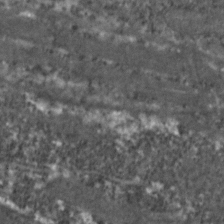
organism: Zebrafish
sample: Zebrafish embryo